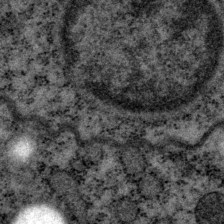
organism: P. pacificus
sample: Pharynx